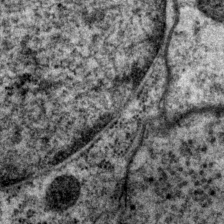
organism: P. pacificus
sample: Pharynx